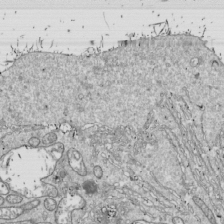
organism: Drosophila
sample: Cell division; meiosis; drosophila spermatocytes